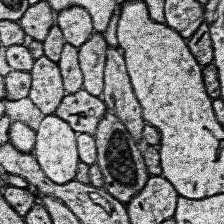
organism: Human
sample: Temporal Lobe